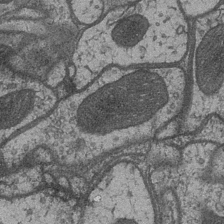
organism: Drosophila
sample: Optic medulla